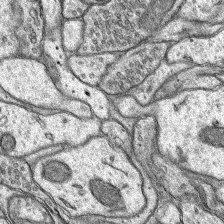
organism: Rat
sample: Hippocampus